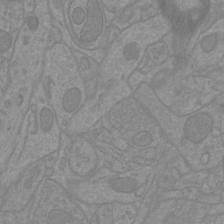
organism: Mouse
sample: Cortical neurons